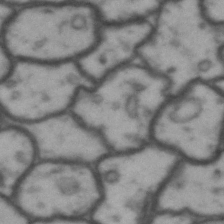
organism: Drosophila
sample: Brain